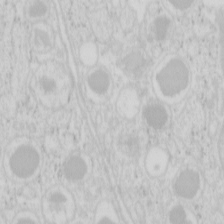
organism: Mouse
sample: Pancreas